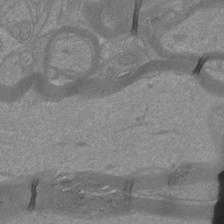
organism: Mouse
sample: Cortical neurons